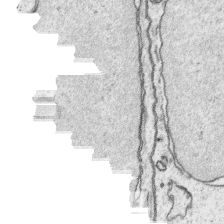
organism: Platynereis dumerilii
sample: Parapodia